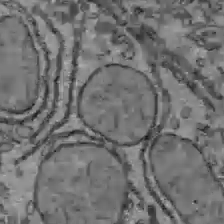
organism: C57BL Mouse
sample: Liver